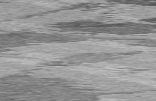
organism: C57BL Mouse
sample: Heart